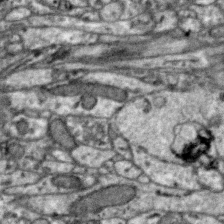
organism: Zebra finch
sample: Brain